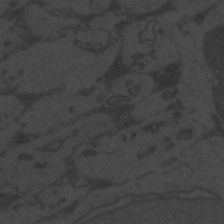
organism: Zebrafish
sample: Macrophage infected with Toxoplasma gondii